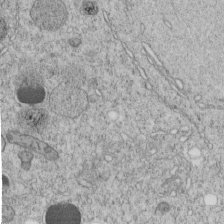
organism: C. elegans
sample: C. elegans embryo early stage